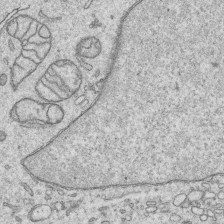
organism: Human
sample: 1205lu cells